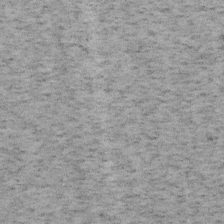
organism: Mouse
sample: OT-I killer T cells with ID8 ovarian cancer cells